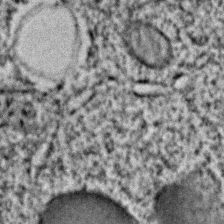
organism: C. elegans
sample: C. elegans embryo